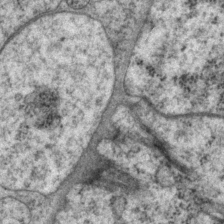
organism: P. pacificus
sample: Pharynx